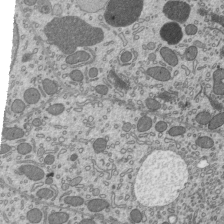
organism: Mouse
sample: Mouse epididymis efferent ductule cilia